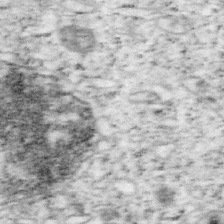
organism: Mouse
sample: OT-I killer T cells with ID8 ovarian cancer cells